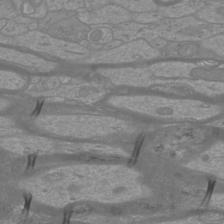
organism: Mouse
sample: Cortical neurons